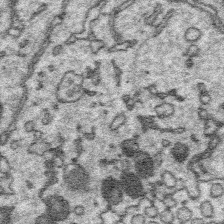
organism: Platynereis dumerilii